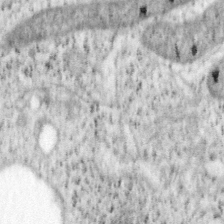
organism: Mouse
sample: OT-I killer T cells with ID8 ovarian cancer cells